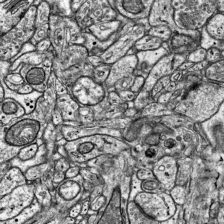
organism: Mouse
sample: Visual Cortex